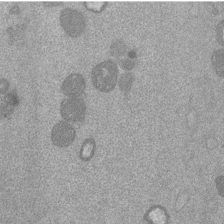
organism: Mouse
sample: Dividing mouse embryo 1 cell stage